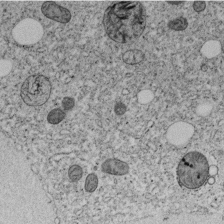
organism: C. elegans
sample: C. elegans embryo early stage